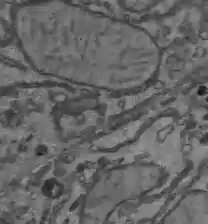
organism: C57BL Mouse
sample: Liver